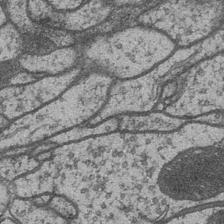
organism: Drosophila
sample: Optic medulla